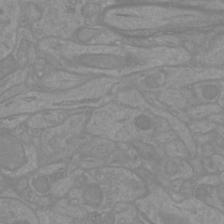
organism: Mouse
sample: Cortical neurons